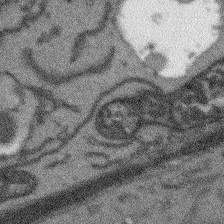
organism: Arabidopsis thaliana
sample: Root tip